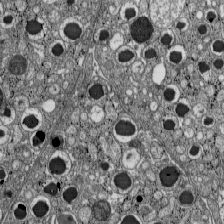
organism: C57BL Mouse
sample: Pancreatic islet